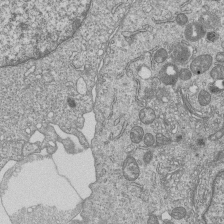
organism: Human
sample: MDA-MB-231 cells